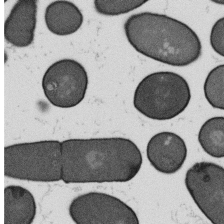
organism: B. subtilis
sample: Bacterial spore